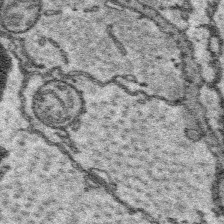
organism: Platynereis dumerilii